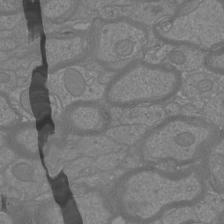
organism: Mouse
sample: Cortical neurons